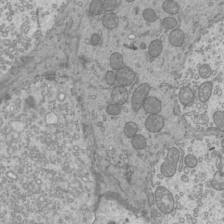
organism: Mouse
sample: Cilia; mouse epididymis